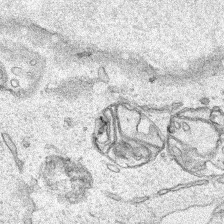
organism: Human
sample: Mitochondria in HCT116 cells